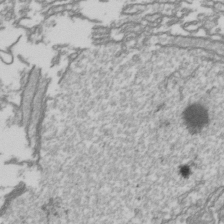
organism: Drosophila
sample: Cell division; meiosis; drosophila spermatocytes